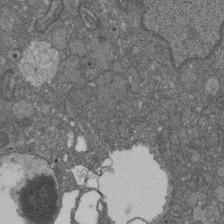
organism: Drosophila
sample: Nephrocyte